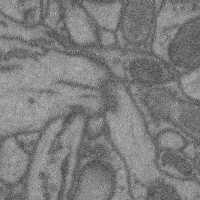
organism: Mouse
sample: Cerebral cortex